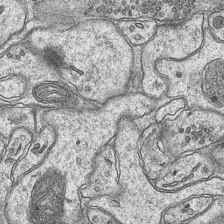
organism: Mouse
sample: CA1 Hippocampus